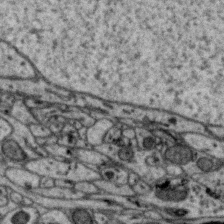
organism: Zebra finch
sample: Brain